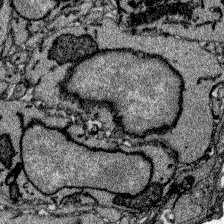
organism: Zebrafish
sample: Larval olfactory bulb